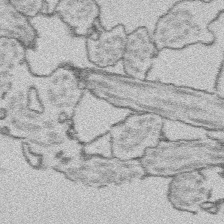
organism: Platynereis dumerilii